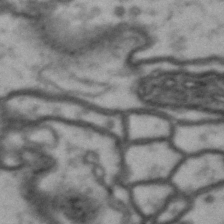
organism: Drosophila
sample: Brain